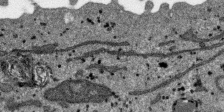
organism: Human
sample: Lung epithelial cells, uninfected (mock) control